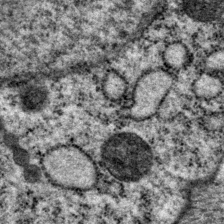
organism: P. pacificus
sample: Pharynx